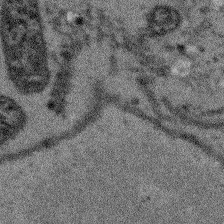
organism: Arabidopsis thaliana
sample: Root tip